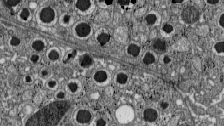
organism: C57BL Mouse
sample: Pancreatic islet